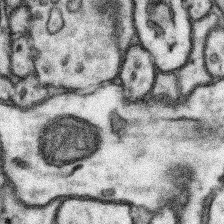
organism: Mouse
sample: Somatosensory cortex neuropil